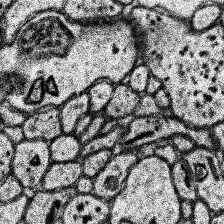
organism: Human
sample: Temporal Lobe